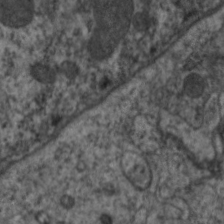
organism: C. elegans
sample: Pharynx